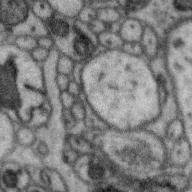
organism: Zebra finch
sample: Brain